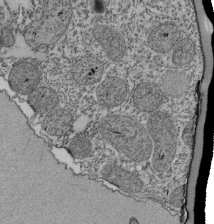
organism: Tetrahymena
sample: Cilia in tetrahymena